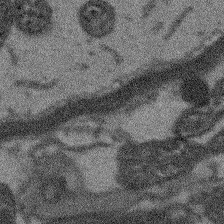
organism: Arabidopsis thaliana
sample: Root tip